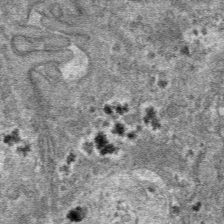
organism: Mouse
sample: Mouse hepatocytes